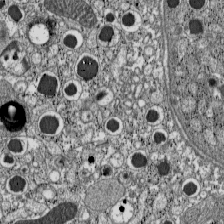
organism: C57BL Mouse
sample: Pancreatic islet